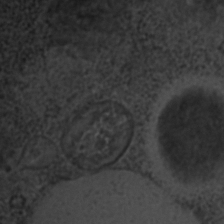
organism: C. elegans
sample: C. elegans embryo